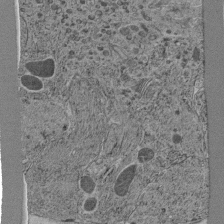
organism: C. elegans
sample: C. elegans pharynx